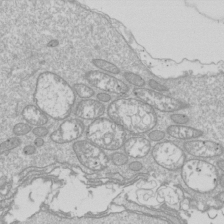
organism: Drosophila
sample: Cell division; meiosis; drosophila spermatocytes